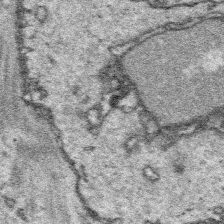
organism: Platynereis dumerilii